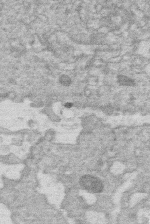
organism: Human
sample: Macrophage cells